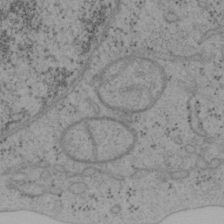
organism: Human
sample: HeLa cells